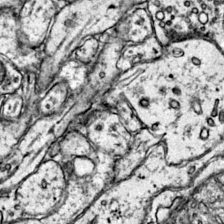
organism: Mouse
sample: Primary visual cortex